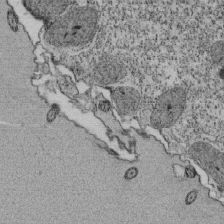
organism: Tetrahymena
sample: Cilia in tetrahymena